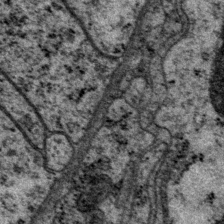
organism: P. pacificus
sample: Pharynx